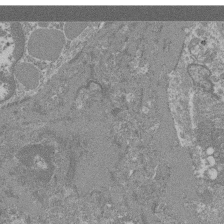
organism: Mouse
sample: Glomerulus